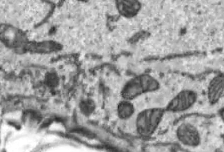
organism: Human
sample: HeLa cells